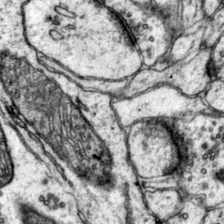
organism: Mouse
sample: Primary visual cortex